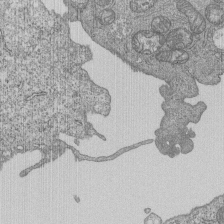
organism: Human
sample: MDA-MB-231 cells